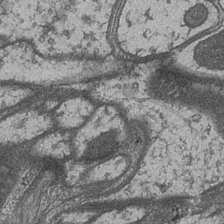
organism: Drosophila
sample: Optic medulla